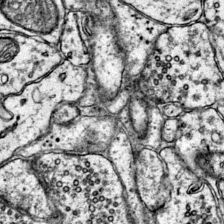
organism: Mouse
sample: Primary visual cortex